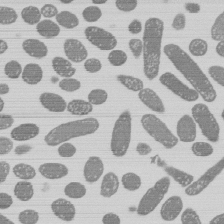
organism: E. coli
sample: Bacterial nucleoid